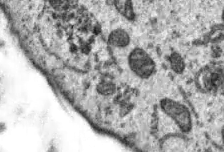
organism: Human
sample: HeLa cells